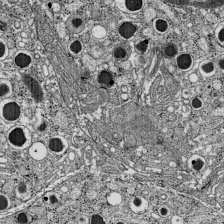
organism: C57BL Mouse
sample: Pancreatic islet